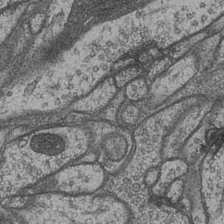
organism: Drosophila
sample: Optic medulla